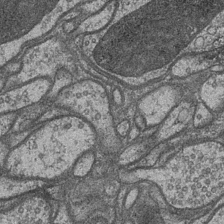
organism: Drosophila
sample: Optic medulla